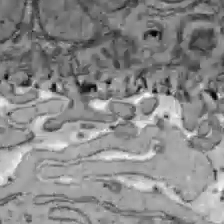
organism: C57BL Mouse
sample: Liver